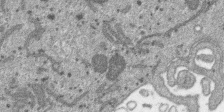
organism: Human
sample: Lung epithelial cells infected with SARS-CoV-2